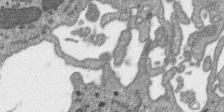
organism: Human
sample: Lung epithelial cells infected with SARS-CoV-2